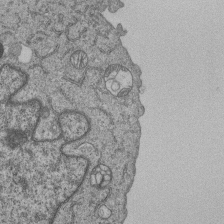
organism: Human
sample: MDA-MB-231 cells